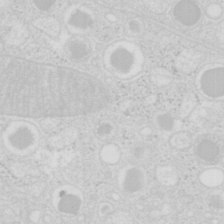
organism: Mouse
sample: Pancreas